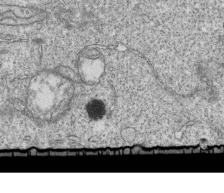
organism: Human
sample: HeLa cell HIV synapse